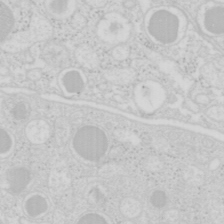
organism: Mouse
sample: Pancreas